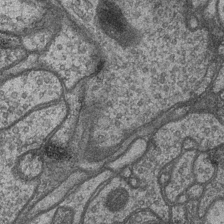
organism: Drosophila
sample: Optic medulla